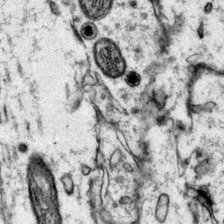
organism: Mouse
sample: Primary visual cortex